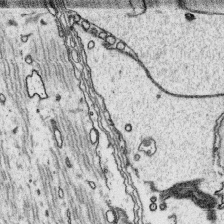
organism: Platynereis dumerilii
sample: Parapodia